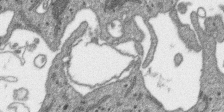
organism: Human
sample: Lung epithelial cells infected with SARS-CoV-2